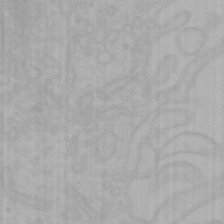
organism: Mouse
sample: Choroid plexus